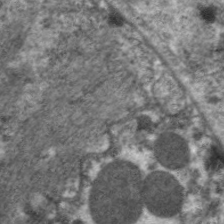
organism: C. elegans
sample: Pharynx